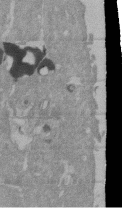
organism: Mouse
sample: ED-1 cell nuclei; centrioles